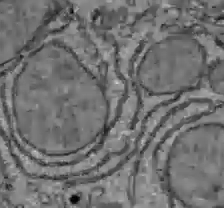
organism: C57BL Mouse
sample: Liver